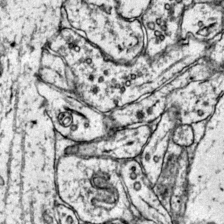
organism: Mouse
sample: Primary visual cortex